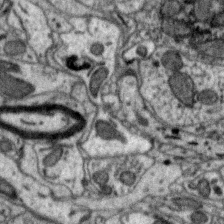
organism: Zebra finch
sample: Brain